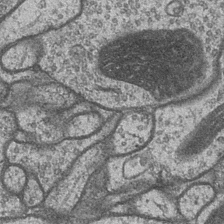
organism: Drosophila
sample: Optic medulla